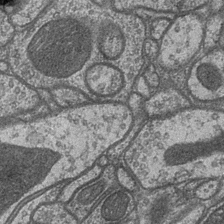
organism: Drosophila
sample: Optic medulla